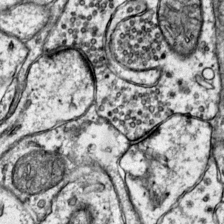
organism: Mouse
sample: Primary visual cortex